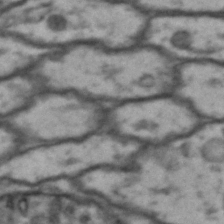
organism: Drosophila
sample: Brain